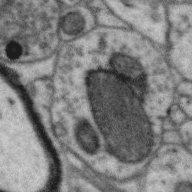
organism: Zebra finch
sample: Brain